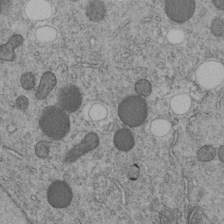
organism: C. elegans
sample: C. elegans embryo early stage